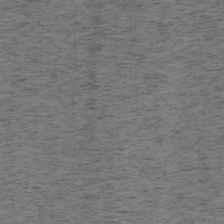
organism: Mouse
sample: OT-I killer T cells with ID8 ovarian cancer cells